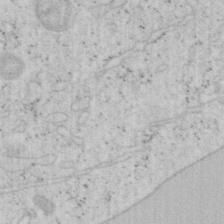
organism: Human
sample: HeLa cells